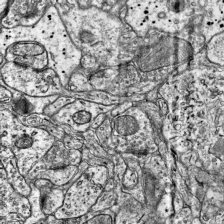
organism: Mouse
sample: Visual Cortex